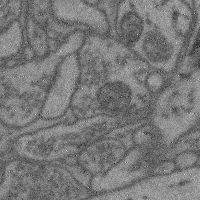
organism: Mouse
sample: Cerebral cortex